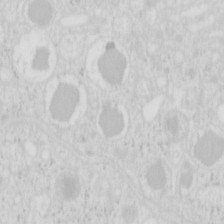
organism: Mouse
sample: Pancreas